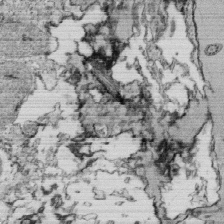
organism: Tetrahymena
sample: Cilia in tetrahymena